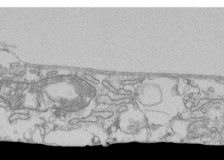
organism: Human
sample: Fibroblast cells